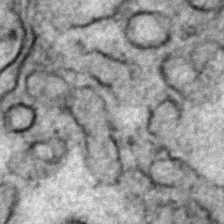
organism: Zebrafish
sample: Zebrafish embryo